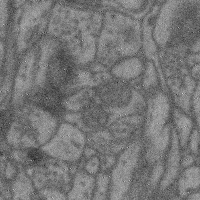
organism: Mouse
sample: Cerebral cortex